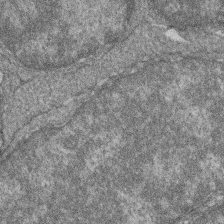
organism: Zebrafish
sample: Cilia; retinal pigment epithelium